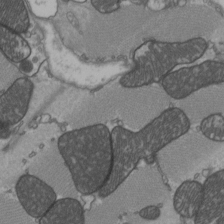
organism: C57BL Mouse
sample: Heart